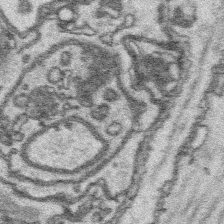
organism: Platynereis dumerilii